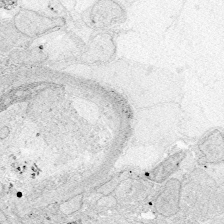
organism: Zebrafish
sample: Whole-Brain